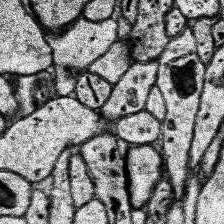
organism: Human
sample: Temporal Lobe